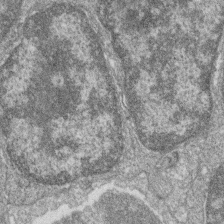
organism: Zebrafish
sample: Cilia; retinal pigment epithelium